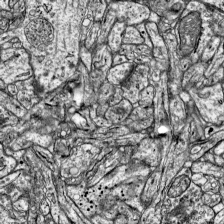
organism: Mouse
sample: Visual Cortex